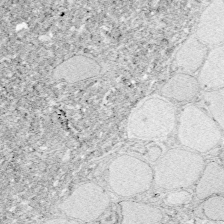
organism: Zebrafish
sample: Whole-Brain